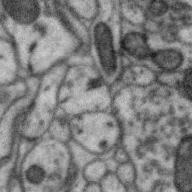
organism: Zebra finch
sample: Brain